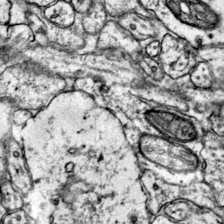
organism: Mouse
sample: Primary visual cortex